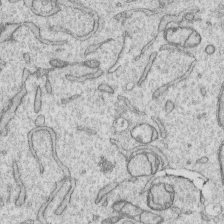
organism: Human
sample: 1205lu cells